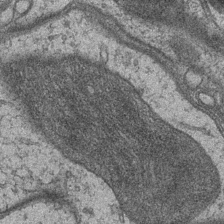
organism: Drosophila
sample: Optic medulla